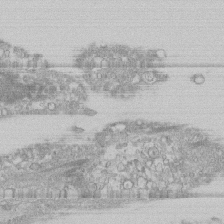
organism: Human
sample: CRL-1474